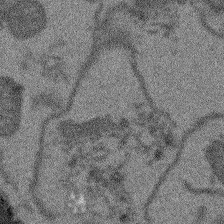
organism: Arabidopsis thaliana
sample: Root tip